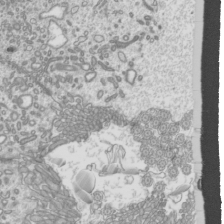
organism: Mouse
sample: Cilia; mouse epididymis